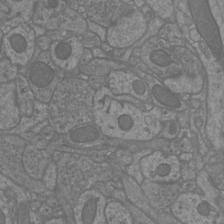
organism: Mouse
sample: Cortical neurons